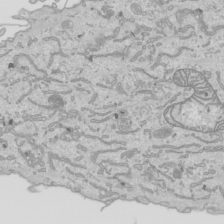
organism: Human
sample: Mitochondria in HCT116 cells